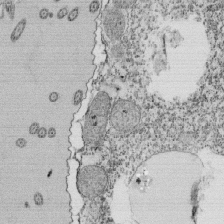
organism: Tetrahymena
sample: Cilia in tetrahymena